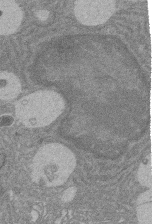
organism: Rat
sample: Salivary granule